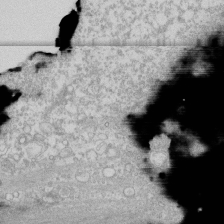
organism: Human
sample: CRL-1474